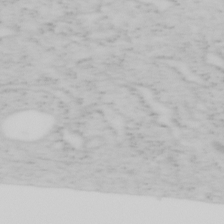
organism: Mouse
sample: OT-I killer T cells with ID8 ovarian cancer cells